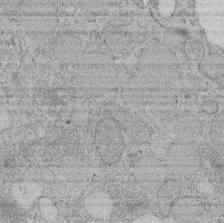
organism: Rat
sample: Salivary granule